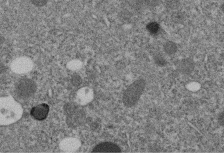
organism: C. elegans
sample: C. elegans embryo early stage